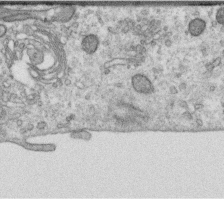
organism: Human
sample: Centriole in RPE cells